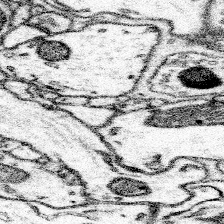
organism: Mouse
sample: Somatosensory cortex neuropil